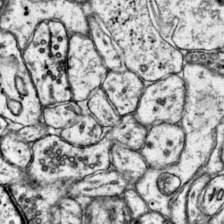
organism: Mouse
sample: Primary visual cortex